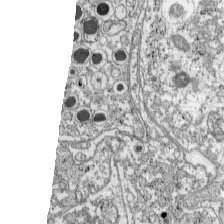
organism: C57BL Mouse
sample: Pancreatic islet